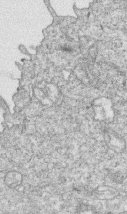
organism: Human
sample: HeLa cell HIV synapse